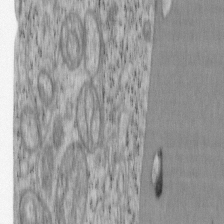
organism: Human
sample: HeLa cells